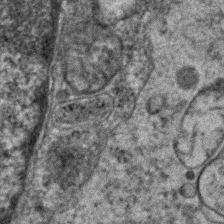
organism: Human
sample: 1205lu cells